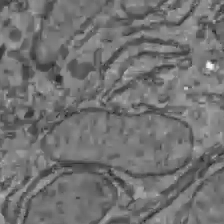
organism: C57BL Mouse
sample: Liver